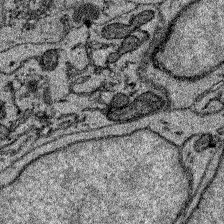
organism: Zebrafish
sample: Larval olfactory bulb